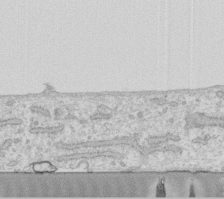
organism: Human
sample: Fibroblast cells